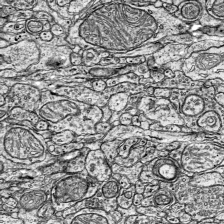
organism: Mouse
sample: Visual Cortex